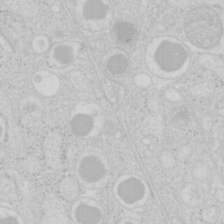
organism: Mouse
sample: Pancreas